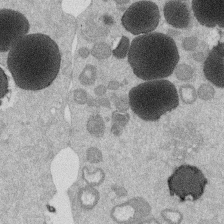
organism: Mouse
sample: Dividing mouse embryo 1 cell stage